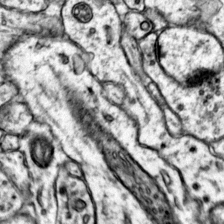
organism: Mouse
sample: Primary visual cortex